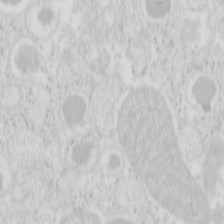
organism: Mouse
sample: Pancreas